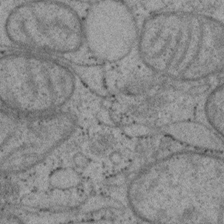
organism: Human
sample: HeLa cells